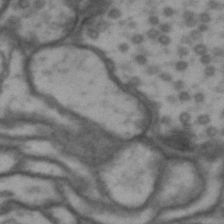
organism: Drosophila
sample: Brain